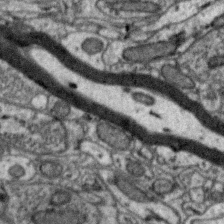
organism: Zebra finch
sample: Brain